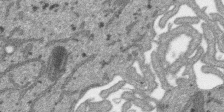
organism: Human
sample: Lung epithelial cells infected with SARS-CoV-2